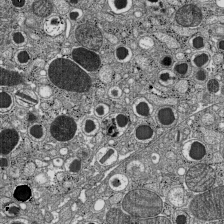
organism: C57BL Mouse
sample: Pancreatic islet